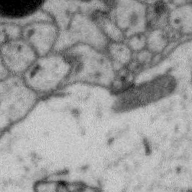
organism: Zebra finch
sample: Brain